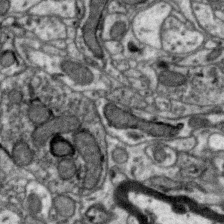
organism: Zebra finch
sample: Brain